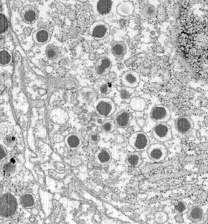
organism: C57BL Mouse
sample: Pancreatic islet